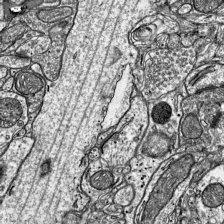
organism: Mouse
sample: Visual Cortex